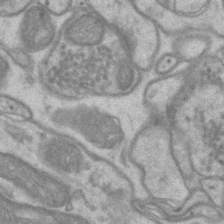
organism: Mouse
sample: CA1 Hippocampus